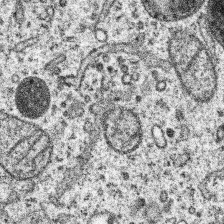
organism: Human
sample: HeLa cells